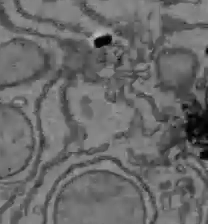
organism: C57BL Mouse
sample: Liver